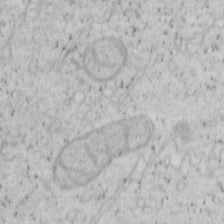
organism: Human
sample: HeLa cells